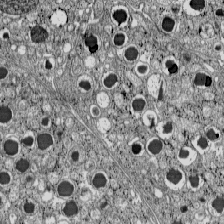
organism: C57BL Mouse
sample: Pancreatic islet